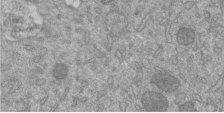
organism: Mouse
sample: ED-1 cell nuclei; centrioles